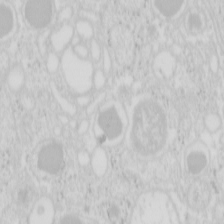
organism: Mouse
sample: Pancreas